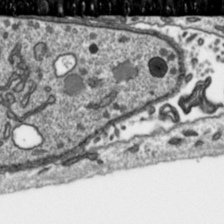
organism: Toxoplasma gondii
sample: Parasites in a vacuole inside a host cell